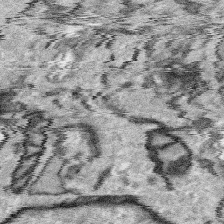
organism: Human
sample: HeLa cells